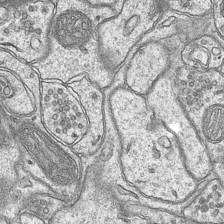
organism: Mouse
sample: CA1 Hippocampus